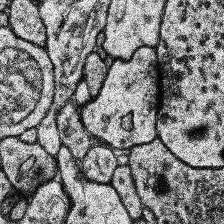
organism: Human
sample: Temporal Lobe